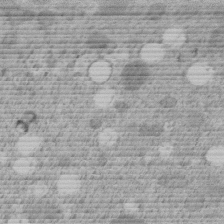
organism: C. elegans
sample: C. elegans embryo early stage